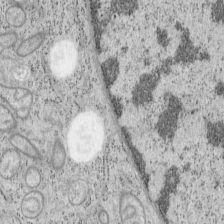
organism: Mouse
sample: OT-I killer T cells with ID8 ovarian cancer cells